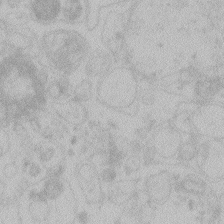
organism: Zebrafish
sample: Macrophage infected with Toxoplasma gondii